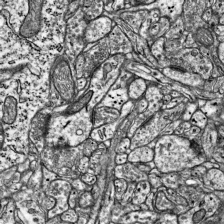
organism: Mouse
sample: Visual Cortex